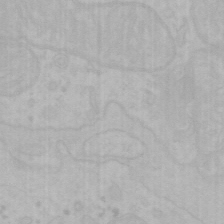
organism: Mouse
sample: Choroid plexus